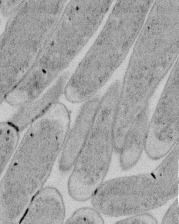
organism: E. coli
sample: Bacterial nucleoid